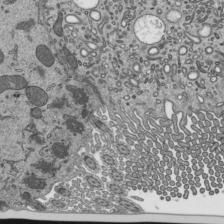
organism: Mouse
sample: Mouse epididymis efferent ductule cilia